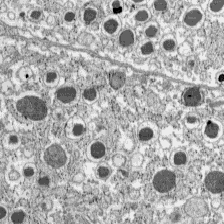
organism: C57BL Mouse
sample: Pancreatic islet